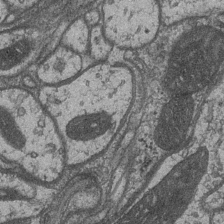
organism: Drosophila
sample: Optic medulla